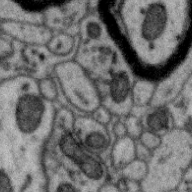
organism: Zebra finch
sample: Brain